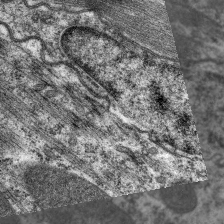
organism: C. elegans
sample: Pharynx